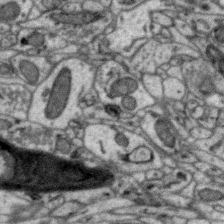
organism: Zebra finch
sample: Brain